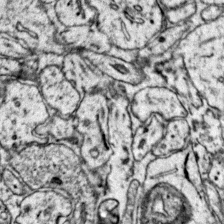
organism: Mouse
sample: Primary visual cortex